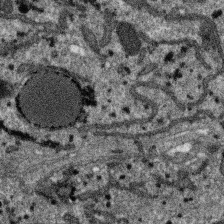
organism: Human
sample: Lung epithelial cells infected with SARS-CoV-2